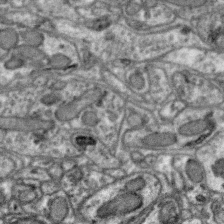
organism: Zebra finch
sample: Brain